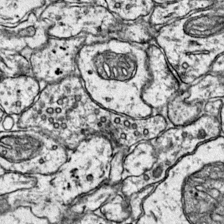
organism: Mouse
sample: Primary visual cortex